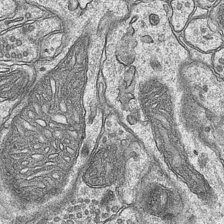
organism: Mouse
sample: CA1 Hippocampus